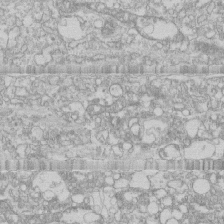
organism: Human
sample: CRL-1474